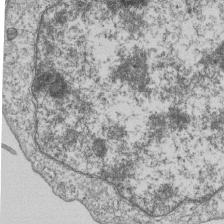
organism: Human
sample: MDA-MB-231 cells